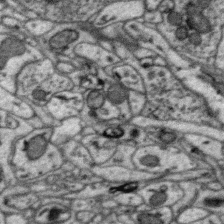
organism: Zebra finch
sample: Brain